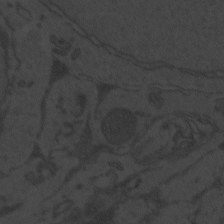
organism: Zebrafish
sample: Macrophage infected with Toxoplasma gondii